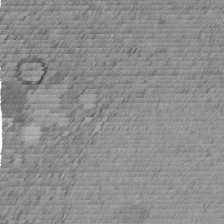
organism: C. elegans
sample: C. elegans embryo early stage